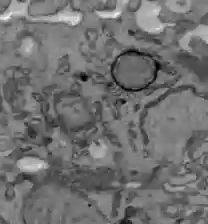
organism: C57BL Mouse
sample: Liver